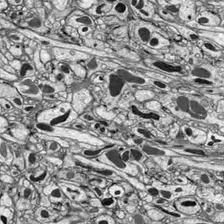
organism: Drosophila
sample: Optic lobe